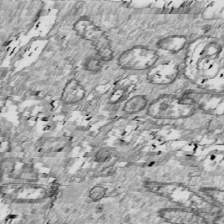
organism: Drosophila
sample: Cell division; meiosis; drosophila spermatocytes